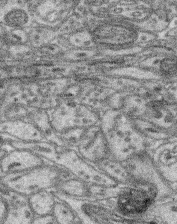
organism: Mouse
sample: Retina